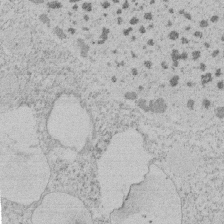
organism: Tetrahymena